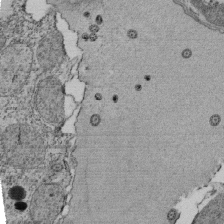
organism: Tetrahymena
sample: Cilia in tetrahymena